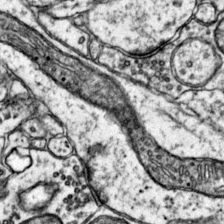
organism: Mouse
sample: Primary visual cortex